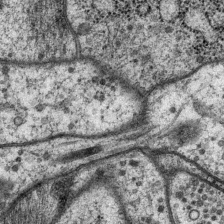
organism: P. pacificus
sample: Pharynx